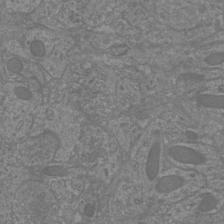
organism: Mouse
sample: Cortical neurons